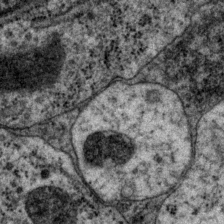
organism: P. pacificus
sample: Pharynx